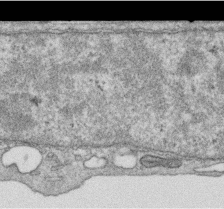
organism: Human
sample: Centriole in RPE cells